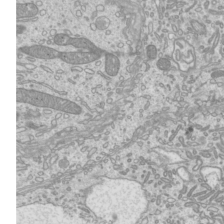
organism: Mouse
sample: Cilia; mouse epididymis